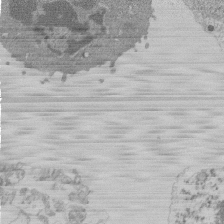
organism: Mouse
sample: Activated Pmel transgenic CD8+ T Cells